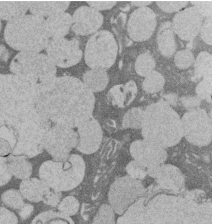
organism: Rat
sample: Salivary granule